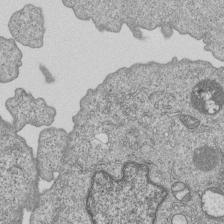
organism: Human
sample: MDA-MB-231 cells